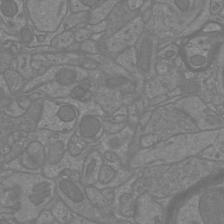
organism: Mouse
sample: Cortical neurons